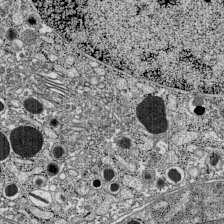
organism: C57BL Mouse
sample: Pancreatic islet